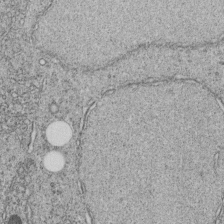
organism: C. elegans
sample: C. elegans embryo early stage